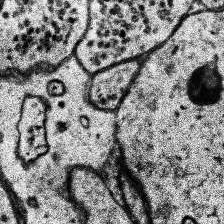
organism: Human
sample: Temporal Lobe